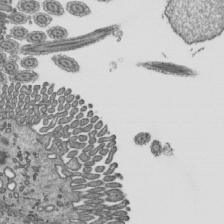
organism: Mouse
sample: Mouse epididymis efferent ductule cilia